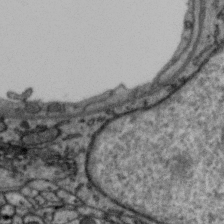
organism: Zebra finch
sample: Brain